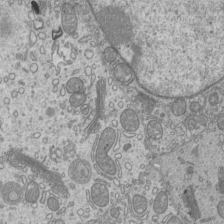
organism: Mouse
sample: Cilia; mouse epididymis